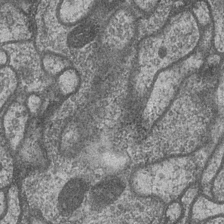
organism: Drosophila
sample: Optic medulla